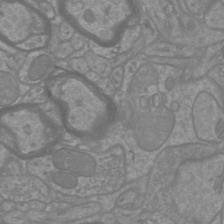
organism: Mouse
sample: Cortical neurons